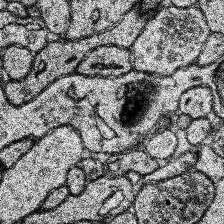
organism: Human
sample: Temporal Lobe